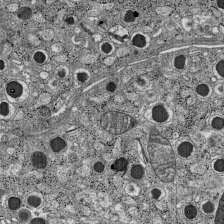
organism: C57BL Mouse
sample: Pancreatic islet